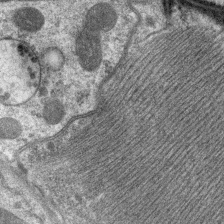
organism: C. elegans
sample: Pharynx